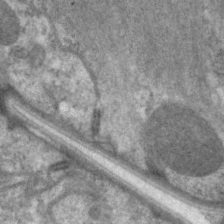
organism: C. elegans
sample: Pharynx